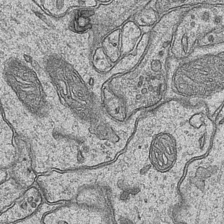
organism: Mouse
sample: CA1 Hippocampus